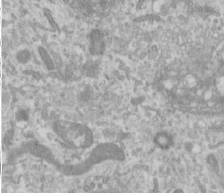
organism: Human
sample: Cilia; basal body in RPE cells